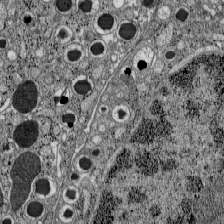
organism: C57BL Mouse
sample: Pancreatic islet